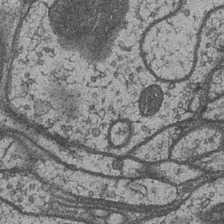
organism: Drosophila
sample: Optic medulla